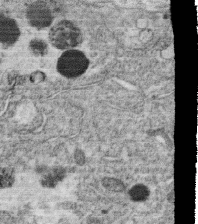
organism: C. elegans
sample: C. elegans oocyte; sperm cells